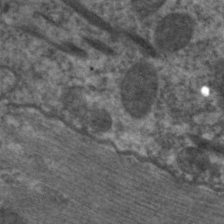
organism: C. elegans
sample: Pharynx